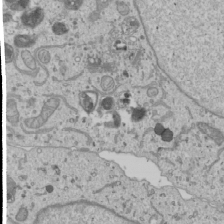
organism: Human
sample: Mitochondria in U2OS cells